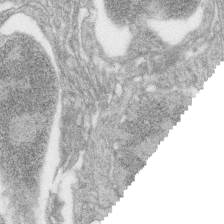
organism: Zebrafish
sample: synaptic ribbons in rod cells and cone cells